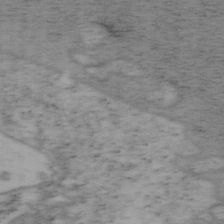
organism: Mouse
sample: OT-I killer T cells with ID8 ovarian cancer cells